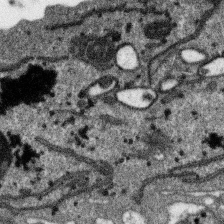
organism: Human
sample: Lung epithelial cells infected with SARS-CoV-2